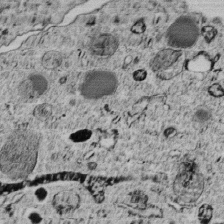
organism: C. elegans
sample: C. elegans embryo early stage